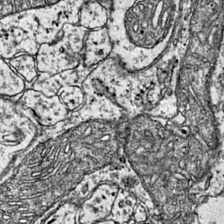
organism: Mouse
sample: Primary visual cortex